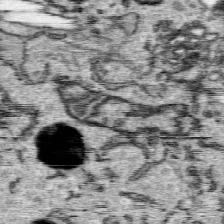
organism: Human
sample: HeLa cells